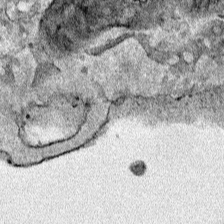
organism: Human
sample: Mitochondria in HCT116 cells